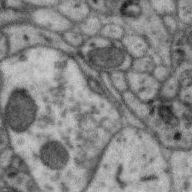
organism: Zebra finch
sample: Brain